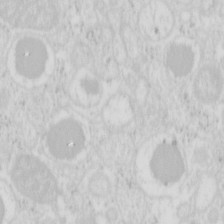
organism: Mouse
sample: Pancreas